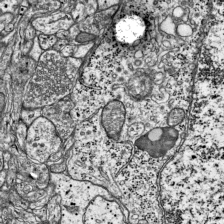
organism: Mouse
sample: Visual Cortex